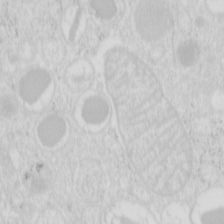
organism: Mouse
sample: Pancreas